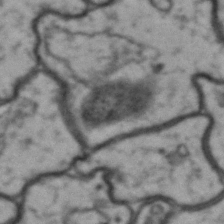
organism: Drosophila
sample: Brain